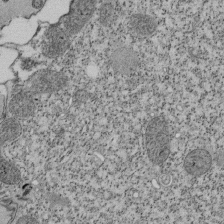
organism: Tetrahymena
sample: Cilia in tetrahymena